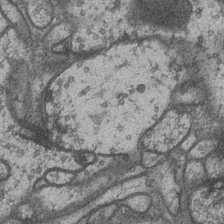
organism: Drosophila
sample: Optic medulla